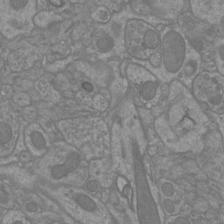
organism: Mouse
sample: Cortical neurons